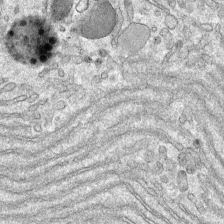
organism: Mouse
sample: Mouse hepatocytes